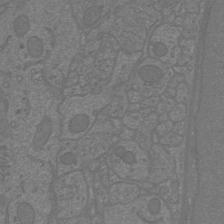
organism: Mouse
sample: Cortical neurons